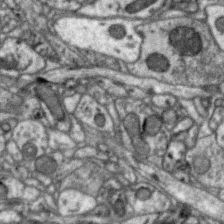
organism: Zebra finch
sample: Brain